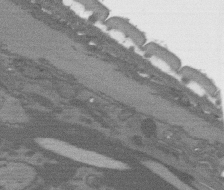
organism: C. elegans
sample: AFD neurons C. elegans